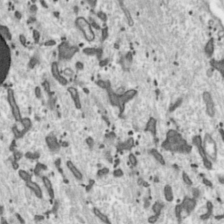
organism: Toxoplasma gondii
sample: Parasites in a vacuole inside a host cell